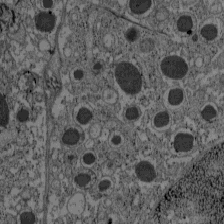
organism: C57BL Mouse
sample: Pancreatic islet